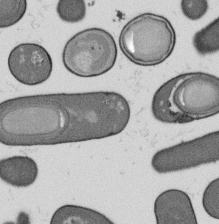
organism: B. subtilis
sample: Bacterial spore